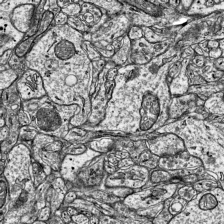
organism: Mouse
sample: Visual Cortex